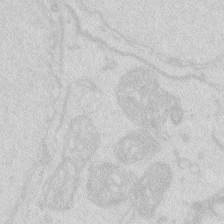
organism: Zebrafish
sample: Macrophage